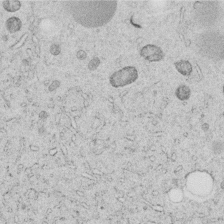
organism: C. elegans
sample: C. elegans embryo early stage